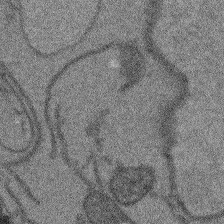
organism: Arabidopsis thaliana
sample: Root tip